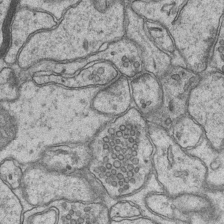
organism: Mouse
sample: CA1 Hippocampus